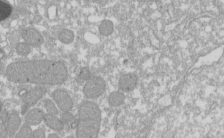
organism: Xenopus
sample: Cilia; centrioles in frog embryo cells